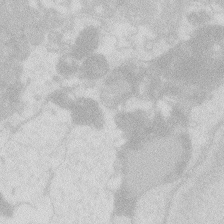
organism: Zebrafish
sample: Macrophage